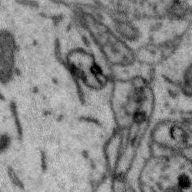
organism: Zebra finch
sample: Brain